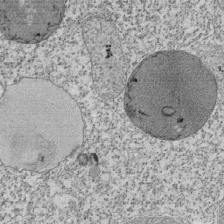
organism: Tetrahymena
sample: Cilia in tetrahymena